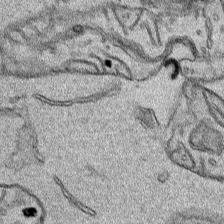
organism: Human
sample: Mitochondria in HCT116 cells